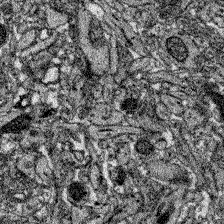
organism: Zebrafish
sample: Larval olfactory bulb